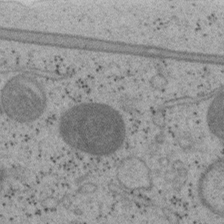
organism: Human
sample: HeLa cells